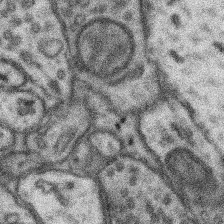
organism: Mouse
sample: Somatosensory cortex neuropil